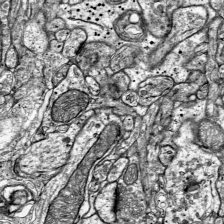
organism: Mouse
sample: Visual Cortex